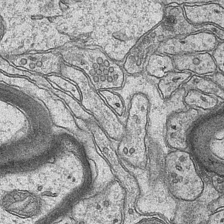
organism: Mouse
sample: CA1 Hippocampus